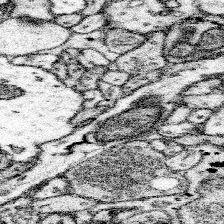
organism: Mouse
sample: Somatosensory cortex neuropil